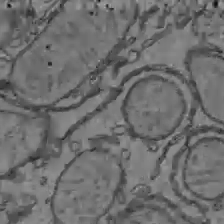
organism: C57BL Mouse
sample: Liver